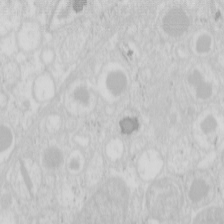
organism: Mouse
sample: Pancreas